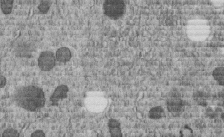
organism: C. elegans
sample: C. elegans embryo early stage